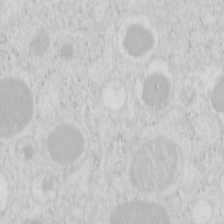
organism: Mouse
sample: Pancreas